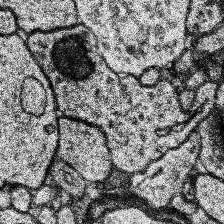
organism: Human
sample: Temporal Lobe